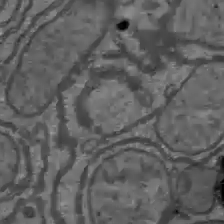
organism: C57BL Mouse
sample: Liver